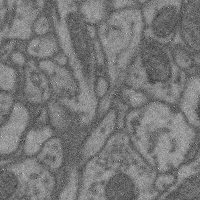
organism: Mouse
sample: Cerebral cortex